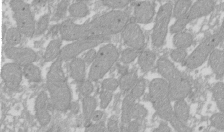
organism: Xenopus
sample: Cilia; centrioles in frog embryo cells